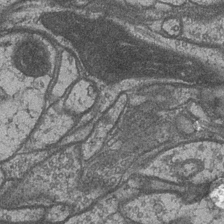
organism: Drosophila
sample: Optic medulla